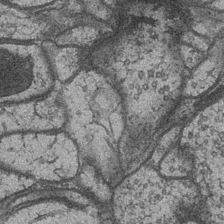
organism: Drosophila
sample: Optic medulla